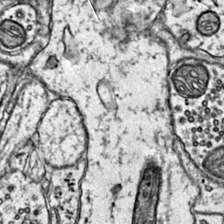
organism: Mouse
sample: Primary visual cortex